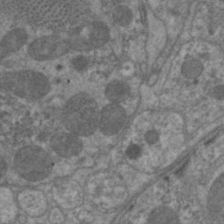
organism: C. elegans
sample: Pharynx